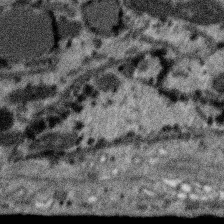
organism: Human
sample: Lung epithelial cells infected with SARS-CoV-2